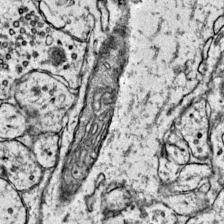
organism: Mouse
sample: Primary visual cortex